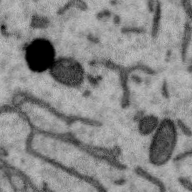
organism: Zebra finch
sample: Brain